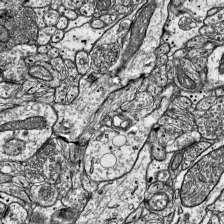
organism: Mouse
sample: Visual Cortex